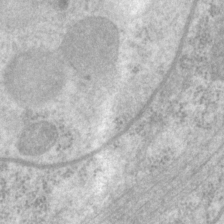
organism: P. pacificus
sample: Pharynx